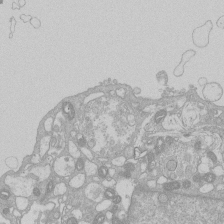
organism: Human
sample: Macrophage cells